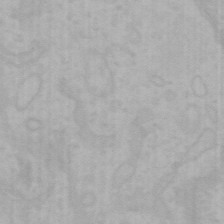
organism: Mouse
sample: Choroid plexus